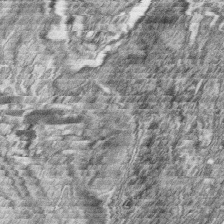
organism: Zebrafish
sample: synaptic ribbons in rod cells and cone cells